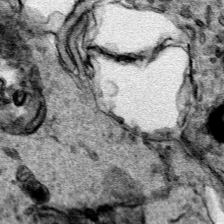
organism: Human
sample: Mitochondria in HCT116 cells